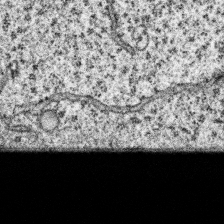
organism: Human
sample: HeLa cells